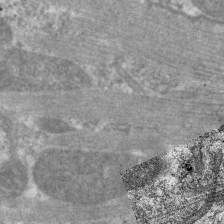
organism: C. elegans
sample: Pharynx